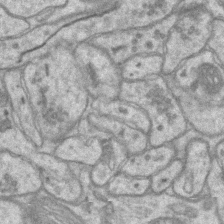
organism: Mouse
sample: CA1 Hippocampus